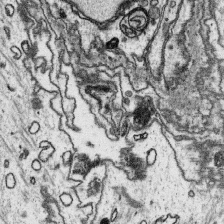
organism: Platynereis dumerilii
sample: Parapodia